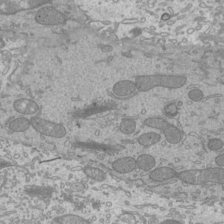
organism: Mouse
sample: Cilia; mouse epididymis